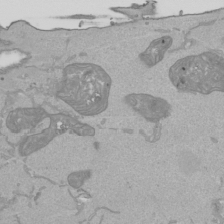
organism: Human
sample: Mitochondria in HCT116 cells